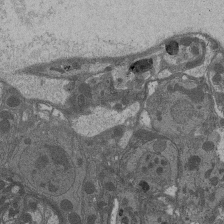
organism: Drosophila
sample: Antenna